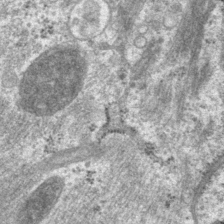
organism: P. pacificus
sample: Pharynx